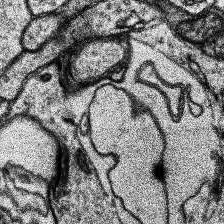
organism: Human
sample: Temporal Lobe